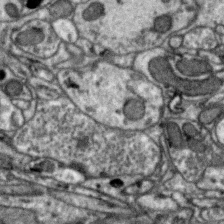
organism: Zebra finch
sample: Brain